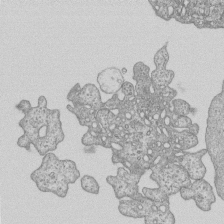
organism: Human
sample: MDA-MB-231 cells